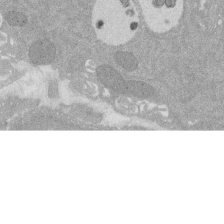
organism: Rat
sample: Salivary granule